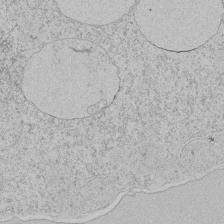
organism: Tetrahymena